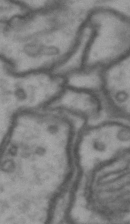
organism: Drosophila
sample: Brain